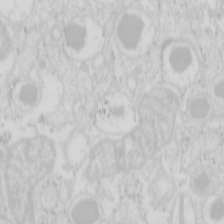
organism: Mouse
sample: Pancreas